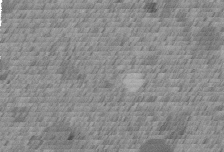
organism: C. elegans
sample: C. elegans embryo early stage